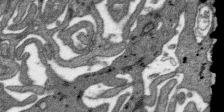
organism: Human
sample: Lung epithelial cells, uninfected (mock) control